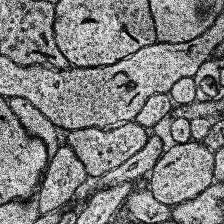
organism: Human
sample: Temporal Lobe